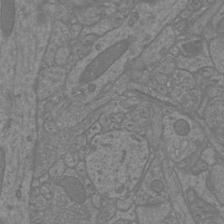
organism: Mouse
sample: Cortical neurons